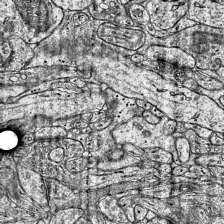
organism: Mouse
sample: Visual Cortex